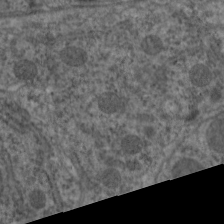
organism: C. elegans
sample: Pharynx